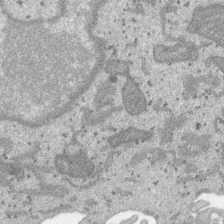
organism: Human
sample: Lung epithelial cells infected with SARS-CoV-2